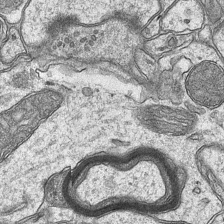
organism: Mouse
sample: CA1 Hippocampus